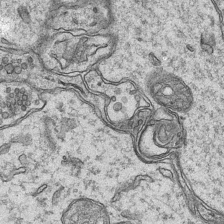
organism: Mouse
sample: CA1 Hippocampus